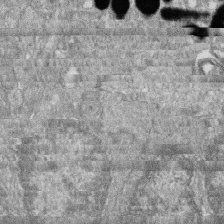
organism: Zebrafish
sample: Cilia; retinal pigment epithelium